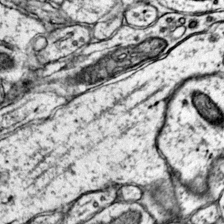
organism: Mouse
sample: Primary visual cortex